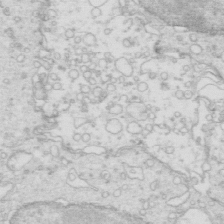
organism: Mouse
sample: Multiciliated cells